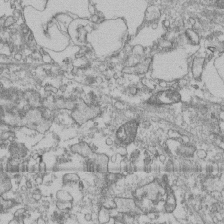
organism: Human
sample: Fibroblast cells